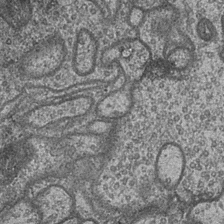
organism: Drosophila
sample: Optic medulla